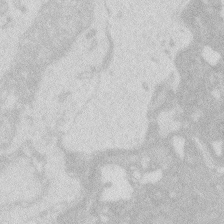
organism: Zebrafish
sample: Macrophage